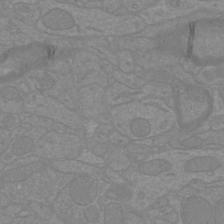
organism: Mouse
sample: Cortical neurons